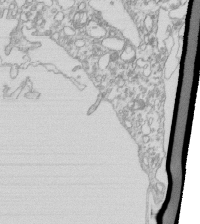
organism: Mouse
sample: Macrophages